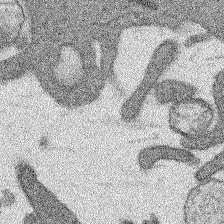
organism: Human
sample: HeLa cells